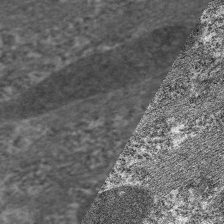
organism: C. elegans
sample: Pharynx